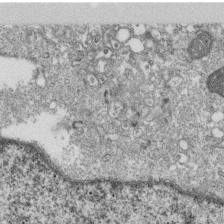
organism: African green monkey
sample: Vero E6 cells infected with SARS-CoV-2